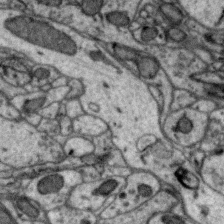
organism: Zebra finch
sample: Brain